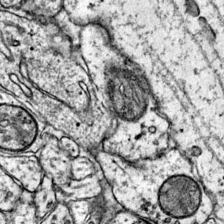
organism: Mouse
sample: Primary visual cortex